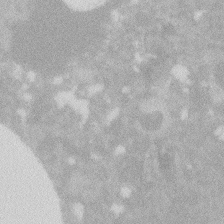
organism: Zebrafish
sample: Macrophage